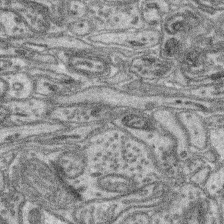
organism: Mouse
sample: Retina